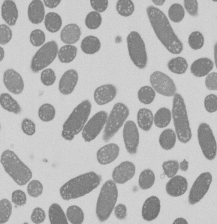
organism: E. coli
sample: Bacterial nucleoid